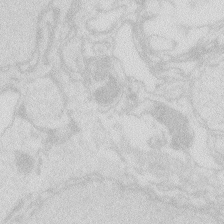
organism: Zebrafish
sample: Macrophage